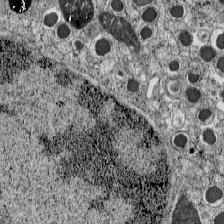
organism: C57BL Mouse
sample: Pancreatic islet